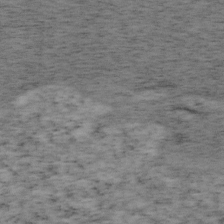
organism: Mouse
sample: OT-I killer T cells with ID8 ovarian cancer cells